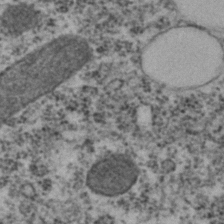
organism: C. elegans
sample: C. elegans embryo